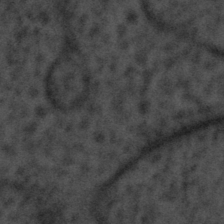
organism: Tuwongella immobilis